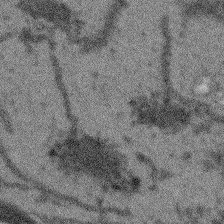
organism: Arabidopsis thaliana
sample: Root tip